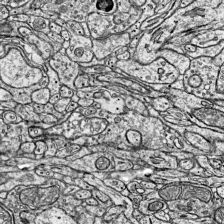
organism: Mouse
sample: Visual Cortex